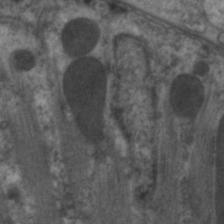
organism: C. elegans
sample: Pharynx